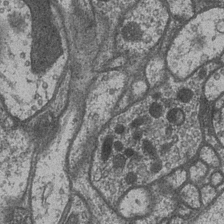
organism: Drosophila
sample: Optic medulla